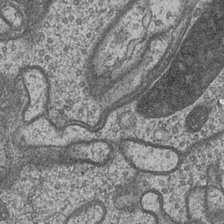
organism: Drosophila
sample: Optic medulla